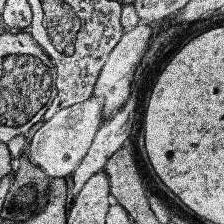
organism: Human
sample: Temporal Lobe